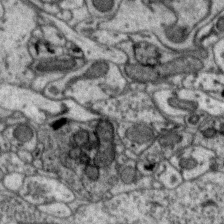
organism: Zebra finch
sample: Brain